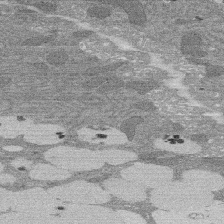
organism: Rat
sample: Salivary granule